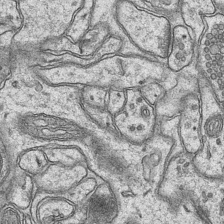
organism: Mouse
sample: CA1 Hippocampus